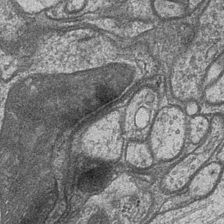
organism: Drosophila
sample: Optic medulla